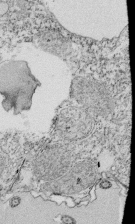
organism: Tetrahymena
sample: Cilia in tetrahymena